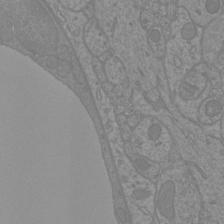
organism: Mouse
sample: Cortical neurons